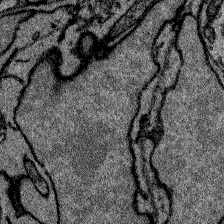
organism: Zebrafish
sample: Larval olfactory bulb